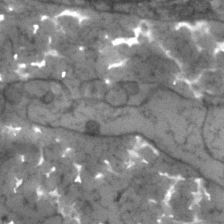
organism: Human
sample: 1205lu cells